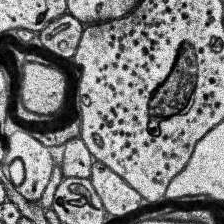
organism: Human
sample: Temporal Lobe